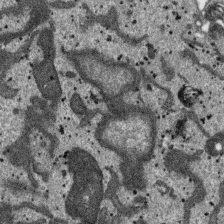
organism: Human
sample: Lung epithelial cells, uninfected (mock) control